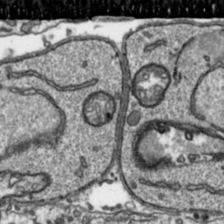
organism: Toxoplasma gondii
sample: Parasites in a vacuole inside a host cell